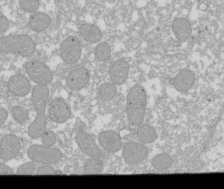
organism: Xenopus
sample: Cilia; centrioles in frog embryo cells